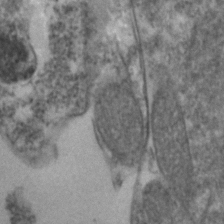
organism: Zebrafish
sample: Zebrafish embryo